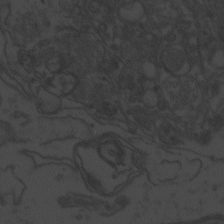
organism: Zebrafish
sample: Macrophage infected with Toxoplasma gondii